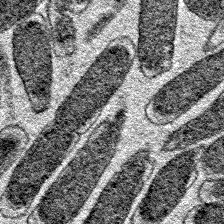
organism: E. coli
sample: E. Coli Bacteria